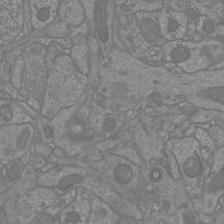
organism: Mouse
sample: Cortical neurons